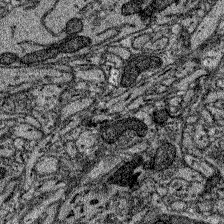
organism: Zebrafish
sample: Larval olfactory bulb